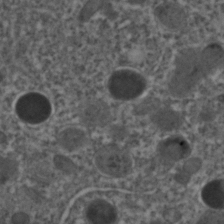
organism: C. elegans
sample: C. elegans embryo